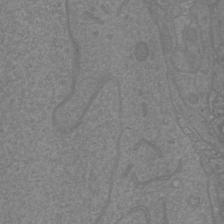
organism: Mouse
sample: Cortical neurons